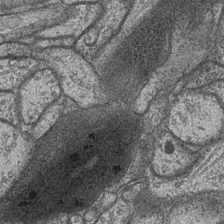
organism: Drosophila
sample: Optic medulla